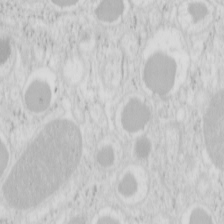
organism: Mouse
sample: Pancreas